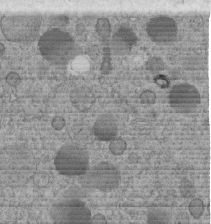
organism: C. elegans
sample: C. elegans embryo early stage